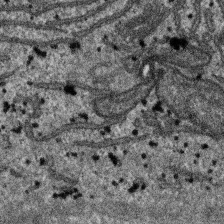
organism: Human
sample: Lung epithelial cells infected with SARS-CoV-2